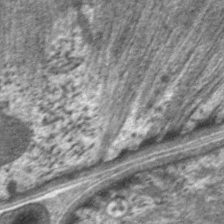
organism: C. elegans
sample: Pharynx